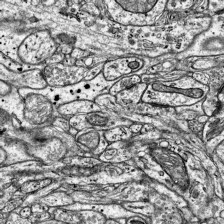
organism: Mouse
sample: Visual Cortex